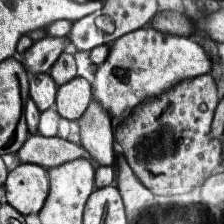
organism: Human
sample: Temporal Lobe